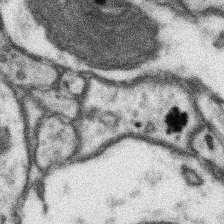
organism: Mouse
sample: Somatosensory cortex neuropil